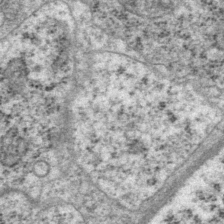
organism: P. pacificus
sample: Pharynx